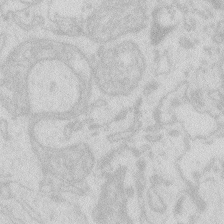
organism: Zebrafish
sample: Macrophage